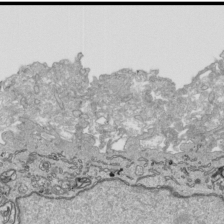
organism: Human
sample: Mitochondria in HCT116 cells